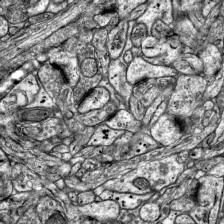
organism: Mouse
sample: Visual Cortex